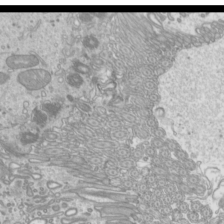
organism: Mouse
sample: Cilia; mouse epididymis